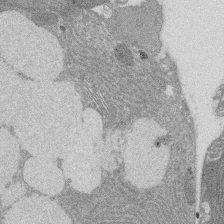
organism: Rat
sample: Salivary granule